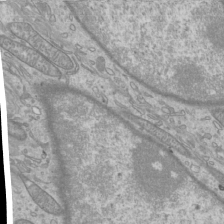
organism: Mouse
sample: Cilia; mouse epididymis